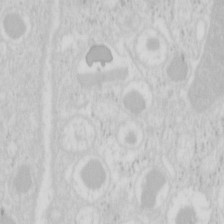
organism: Mouse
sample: Pancreas